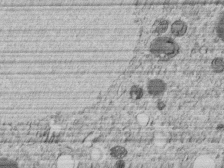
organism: C. elegans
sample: C. elegans embryo early stage